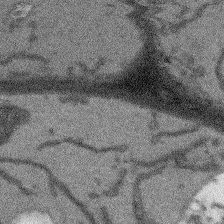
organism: Arabidopsis thaliana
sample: Root tip